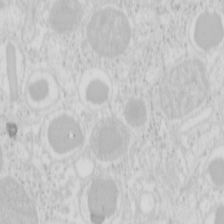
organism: Mouse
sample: Pancreas